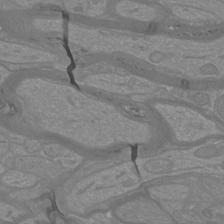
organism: Mouse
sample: Cortical neurons